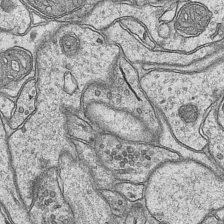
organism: Mouse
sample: CA1 Hippocampus